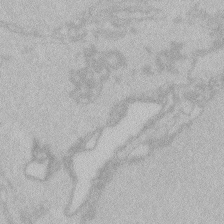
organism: Zebrafish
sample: Macrophage infected with Toxoplasma gondii